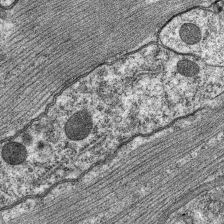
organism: C. elegans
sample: Pharynx